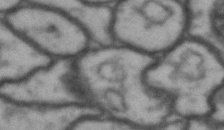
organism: Drosophila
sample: Brain